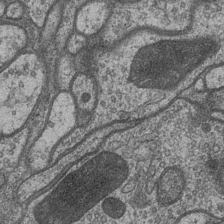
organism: Drosophila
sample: Optic medulla